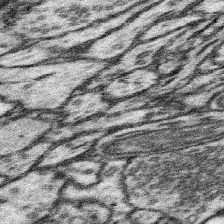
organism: Mouse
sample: Somatosensory cortex neuropil